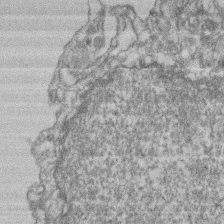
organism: Mouse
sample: T cell stromal cell synapse